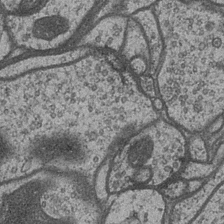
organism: Drosophila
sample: Optic medulla